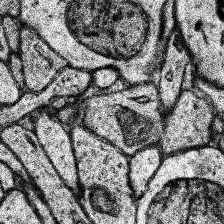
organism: Human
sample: Temporal Lobe